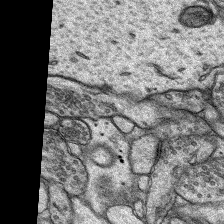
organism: Rat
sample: Hippocampus